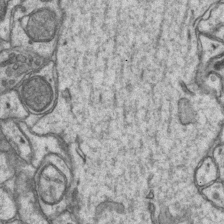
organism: Mouse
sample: CA1 Hippocampus